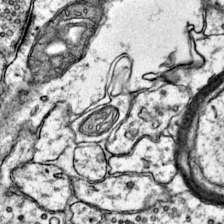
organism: Mouse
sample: Primary visual cortex